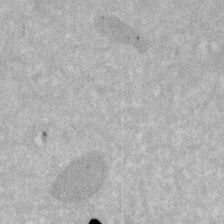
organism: Human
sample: HIV infected U937 cells